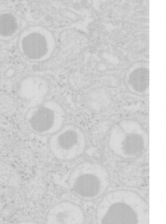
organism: Mouse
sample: Pancreas